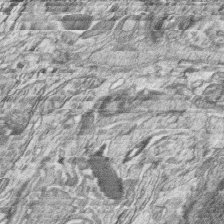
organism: Zebrafish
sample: synaptic ribbons in rod cells and cone cells